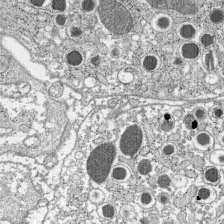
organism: C57BL Mouse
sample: Pancreatic islet